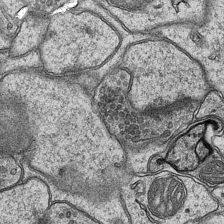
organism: Mouse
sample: CA1 Hippocampus